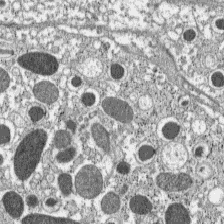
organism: C57BL Mouse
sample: Pancreatic islet